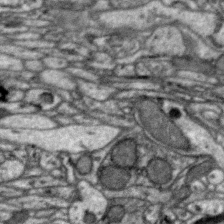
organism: Zebra finch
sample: Brain